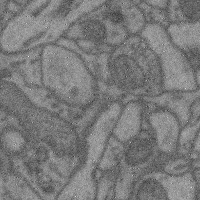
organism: Mouse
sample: Cerebral cortex